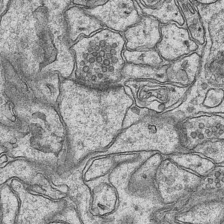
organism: Mouse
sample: CA1 Hippocampus